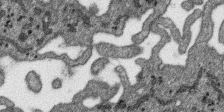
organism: Human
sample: Lung epithelial cells infected with SARS-CoV-2